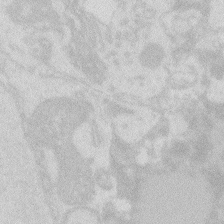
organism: Zebrafish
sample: Macrophage